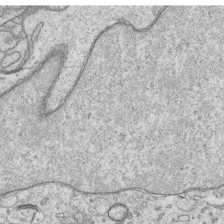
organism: Human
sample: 1205lu cells